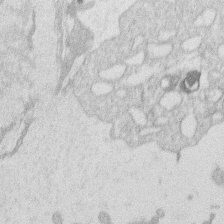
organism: Human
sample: Macrophage cells